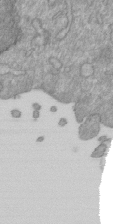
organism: Mouse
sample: ED-1 cell nuclei; centrioles